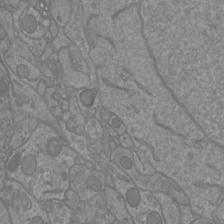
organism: Mouse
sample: Cortical neurons